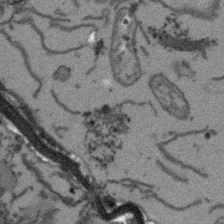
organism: Arabidopsis thaliana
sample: Root tip